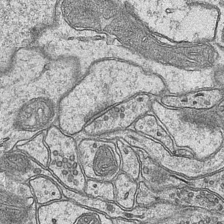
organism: Mouse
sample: CA1 Hippocampus